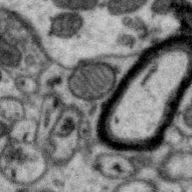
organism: Zebra finch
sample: Brain